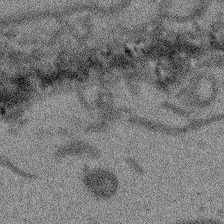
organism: Arabidopsis thaliana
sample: Root tip